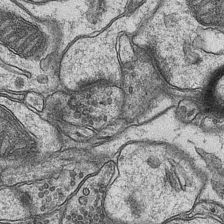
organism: Mouse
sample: CA1 Hippocampus